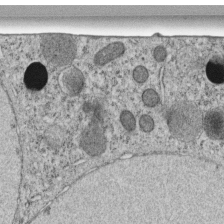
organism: C. elegans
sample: C. elegans embryo early stage